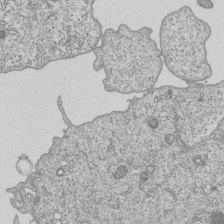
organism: Human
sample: MDA-MB-231 cells